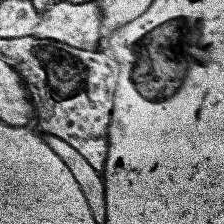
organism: Human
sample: Temporal Lobe